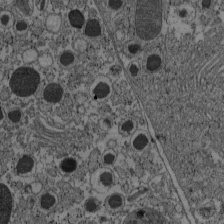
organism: C57BL Mouse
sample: Pancreatic islet